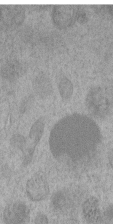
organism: C. elegans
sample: C. elegans embryo early stage